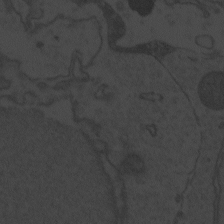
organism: Zebrafish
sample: Macrophage infected with Toxoplasma gondii